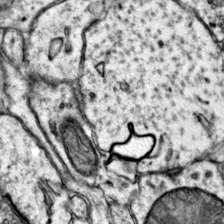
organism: Mouse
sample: Primary visual cortex